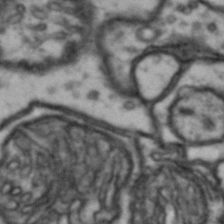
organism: Drosophila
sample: Brain